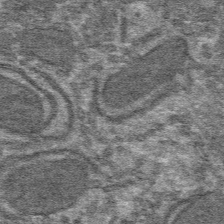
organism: Mouse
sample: Mouse hepatocytes